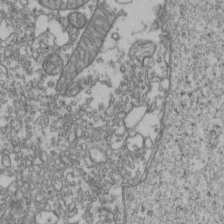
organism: Human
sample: Activated Jurkat CD4+ T cells